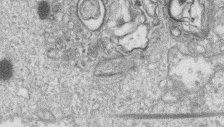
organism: Human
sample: HeLa cell HIV synapse